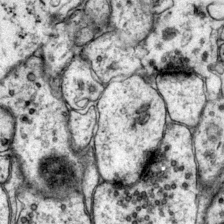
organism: Mouse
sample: Primary visual cortex